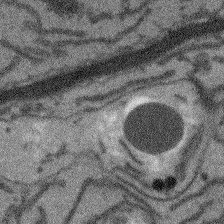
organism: Arabidopsis thaliana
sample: Root tip